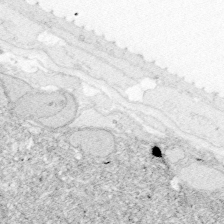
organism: Zebrafish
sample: Whole-Brain